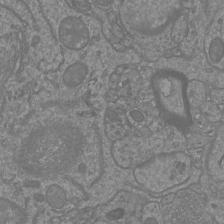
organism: Mouse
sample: Cortical neurons